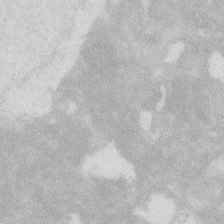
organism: Zebrafish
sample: Macrophage